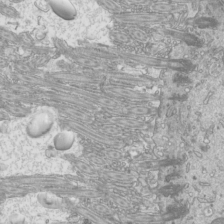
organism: Mouse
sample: Cilia; mouse epididymis